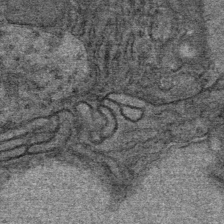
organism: Mouse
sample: Mouse Salivary gland